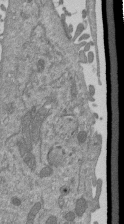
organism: Mouse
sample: ED-1 cell nuclei; centrioles